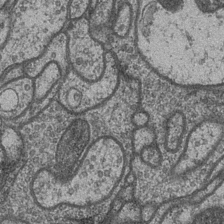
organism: Drosophila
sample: Optic medulla